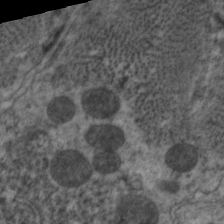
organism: C. elegans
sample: Pharynx